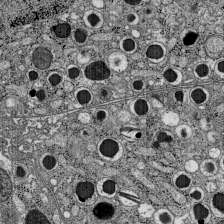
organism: C57BL Mouse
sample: Pancreatic islet